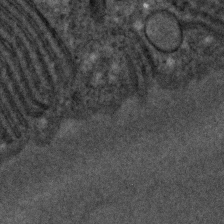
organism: C. elegans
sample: C. elegans embryo